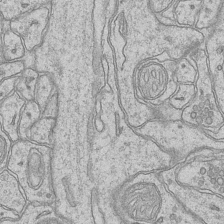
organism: Mouse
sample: CA1 Hippocampus